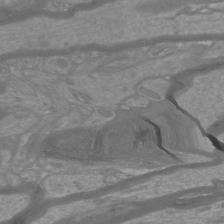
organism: Mouse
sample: Cortical neurons